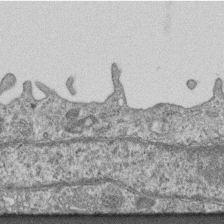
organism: Mouse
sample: Centriole in ependymal cells